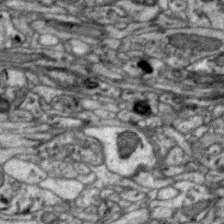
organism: Zebra finch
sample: Brain